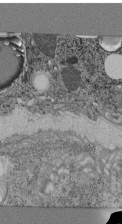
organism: C. elegans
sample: C. elegans pharynx